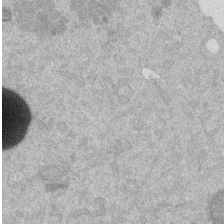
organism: Mouse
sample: Dividing mouse embryo 1 cell stage